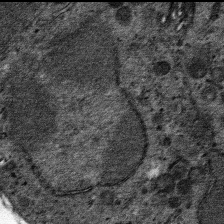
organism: Mouse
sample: Mouse hepatocytes